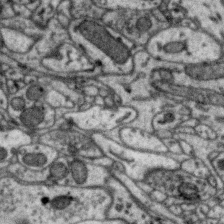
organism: Zebra finch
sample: Brain